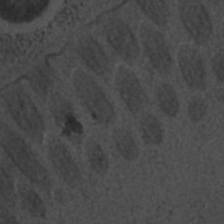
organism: C. elegans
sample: C. elegans embryo